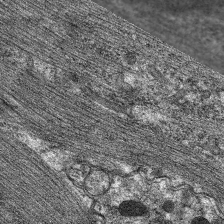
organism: C. elegans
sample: Pharynx